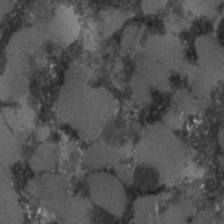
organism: C. elegans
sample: C. elegans embryo